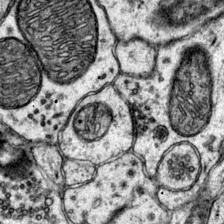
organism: Mouse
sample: Primary visual cortex